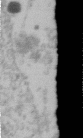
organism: Human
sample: U2-OS cells